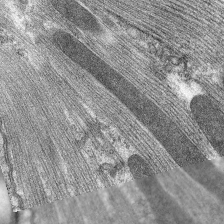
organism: C. elegans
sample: Pharynx